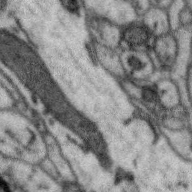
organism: Zebra finch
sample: Brain